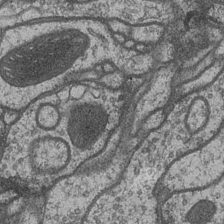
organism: Drosophila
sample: Optic medulla